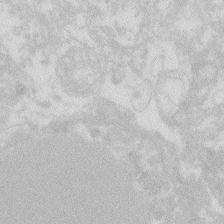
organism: Zebrafish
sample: Macrophage